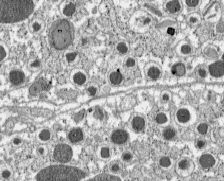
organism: C57BL Mouse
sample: Pancreatic islet